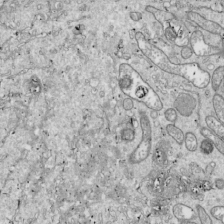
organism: Drosophila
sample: Cell division; meiosis; drosophila spermatocytes